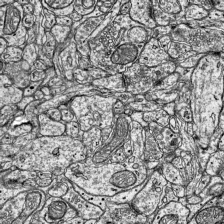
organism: Mouse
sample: Visual Cortex